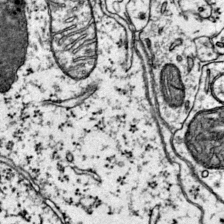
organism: Mouse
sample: Primary visual cortex